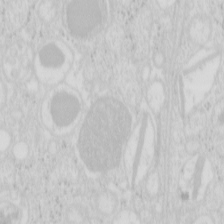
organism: Mouse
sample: Pancreas